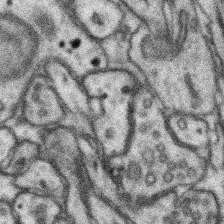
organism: Mouse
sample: Somatosensory cortex neuropil